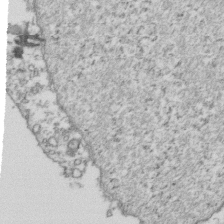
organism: Human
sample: Activated Jurkat CD4+ T cells